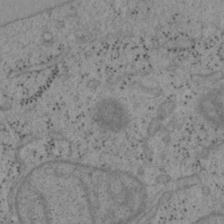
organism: Human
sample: HeLa cells